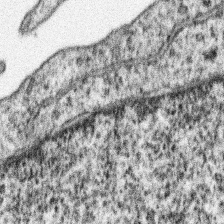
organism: Human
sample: HeLa cells